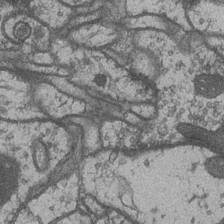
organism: Drosophila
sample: Optic medulla